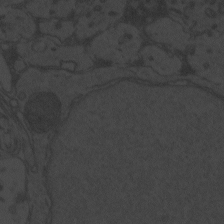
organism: Zebrafish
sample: Macrophage infected with Toxoplasma gondii